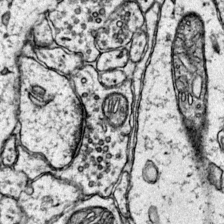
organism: Mouse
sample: Primary visual cortex